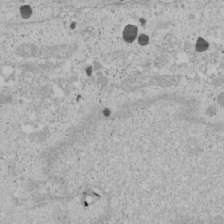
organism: Human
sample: Mitochondria in U2OS cells